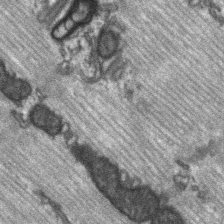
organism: C57BL Mouse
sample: Soleus